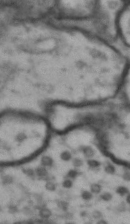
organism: Drosophila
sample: Brain